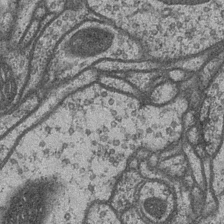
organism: Drosophila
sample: Optic medulla